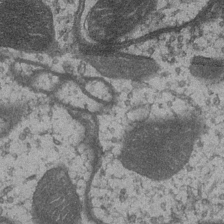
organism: Drosophila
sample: Optic medulla